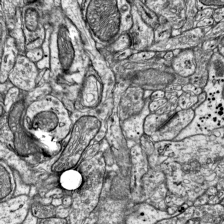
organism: Mouse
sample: Visual Cortex